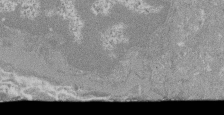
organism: Mouse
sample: Glomerulus